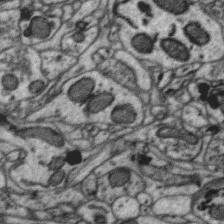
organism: Zebra finch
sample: Brain